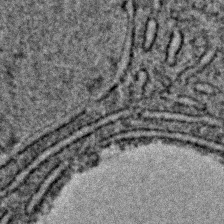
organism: C. elegans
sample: C. elegans embryo